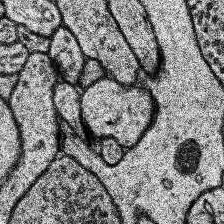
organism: Human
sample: Temporal Lobe